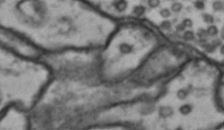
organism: Drosophila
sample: Brain